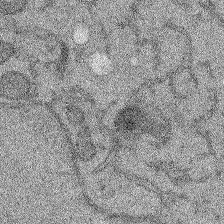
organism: Human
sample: HeLa cells